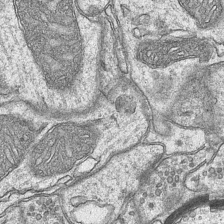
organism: Mouse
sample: CA1 Hippocampus